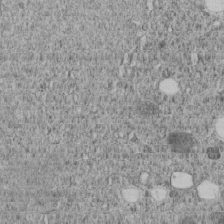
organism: C. elegans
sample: C. elegans embryo early stage